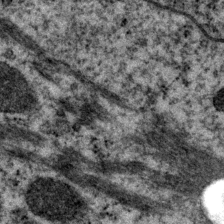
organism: P. pacificus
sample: Pharynx